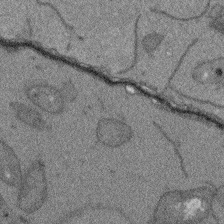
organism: Arabidopsis thaliana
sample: Root tip